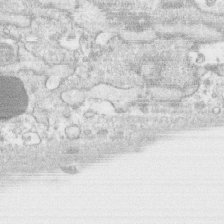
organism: Human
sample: CRL-1474